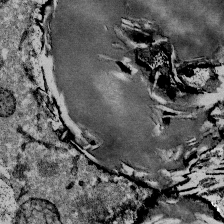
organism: Mouse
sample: Mouse Salivary gland